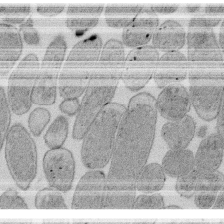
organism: E. coli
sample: Bacterial nucleoid